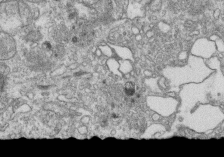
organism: Human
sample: HeLa cell HIV synapse